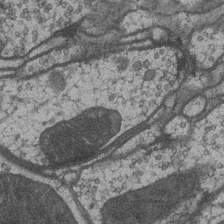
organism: Drosophila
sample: Optic medulla